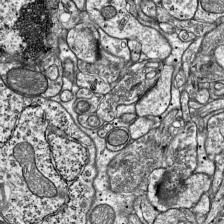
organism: Mouse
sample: Visual Cortex